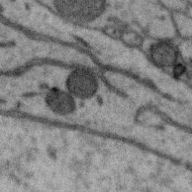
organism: Zebra finch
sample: Brain